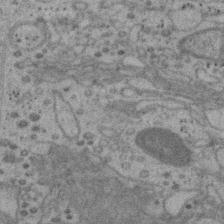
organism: Human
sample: HeLa cells